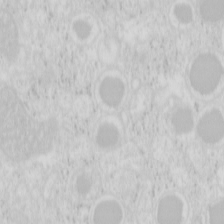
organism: Mouse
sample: Pancreas